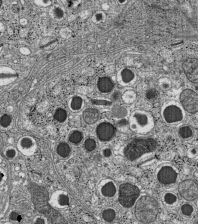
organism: C57BL Mouse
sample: Pancreatic islet